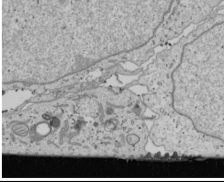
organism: Human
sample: Mitochondria in U2OS cells